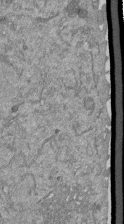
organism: Mouse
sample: ED-1 cell nuclei; centrioles